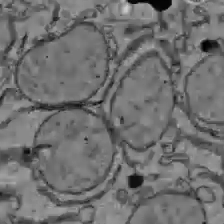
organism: C57BL Mouse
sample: Liver